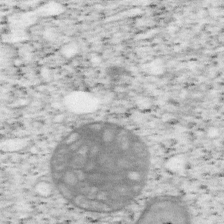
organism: Mouse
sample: OT-I killer T cells with ID8 ovarian cancer cells